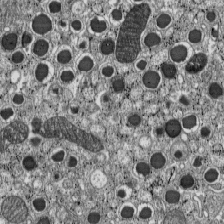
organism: C57BL Mouse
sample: Pancreatic islet